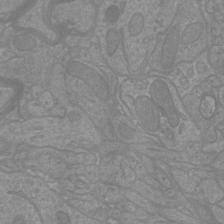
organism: Mouse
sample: Cortical neurons